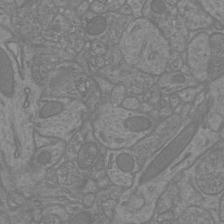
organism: Mouse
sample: Cortical neurons